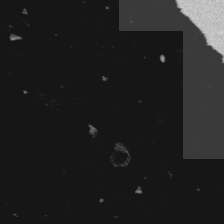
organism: Platynereis dumerilii